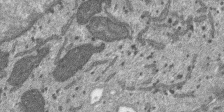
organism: Human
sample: Lung epithelial cells infected with SARS-CoV-2